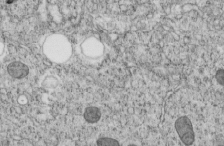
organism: C. elegans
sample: C. elegans embryo early stage